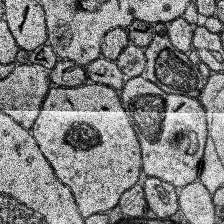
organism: Human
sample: Temporal Lobe